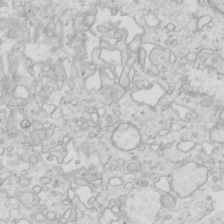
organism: Mouse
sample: Multiciliated cells